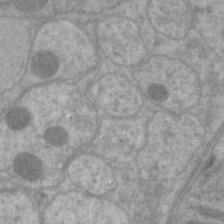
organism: C. elegans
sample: Pharynx